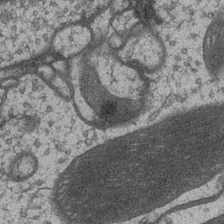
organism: Drosophila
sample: Optic medulla